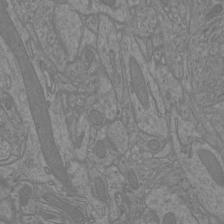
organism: Mouse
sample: Cortical neurons